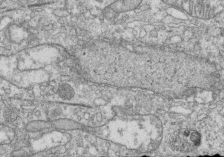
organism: Human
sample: HeLa cell HIV synapse